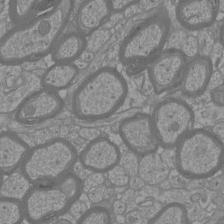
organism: Mouse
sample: Cortical neurons